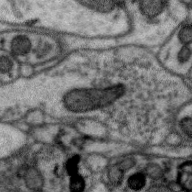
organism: Zebra finch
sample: Brain